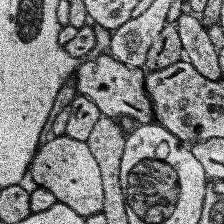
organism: Human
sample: Temporal Lobe